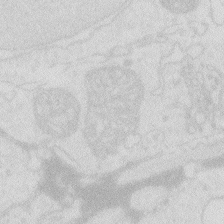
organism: Zebrafish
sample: Macrophage